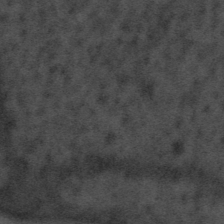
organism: Tuwongella immobilis